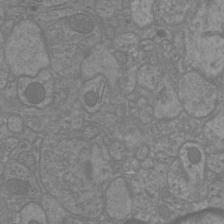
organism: Mouse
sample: Cortical neurons